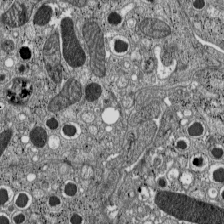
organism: C57BL Mouse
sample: Pancreatic islet